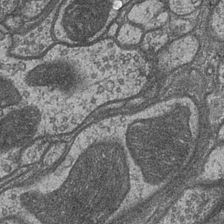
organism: Drosophila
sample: Optic medulla